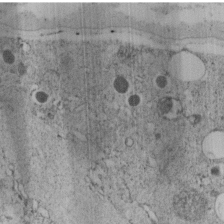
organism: C. elegans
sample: C. elegans embryo early stage